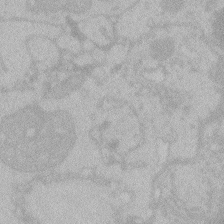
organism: Zebrafish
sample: Macrophage infected with Toxoplasma gondii